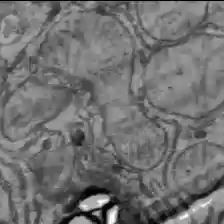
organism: C57BL Mouse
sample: Liver